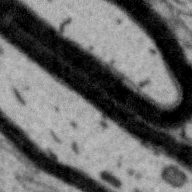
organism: Zebra finch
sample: Brain